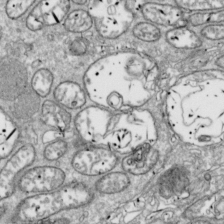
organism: Drosophila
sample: Cell division; meiosis; drosophila spermatocytes